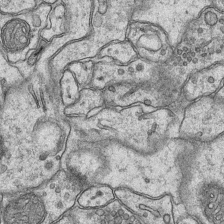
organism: Mouse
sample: CA1 Hippocampus